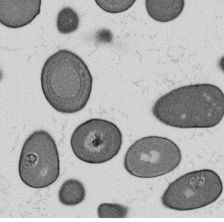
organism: B. subtilis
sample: Bacterial spore